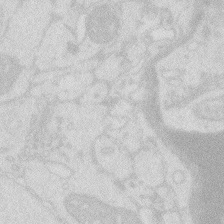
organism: Zebrafish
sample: Macrophage